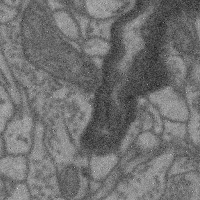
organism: Mouse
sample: Cerebral cortex